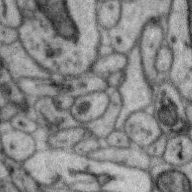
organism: Zebra finch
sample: Brain